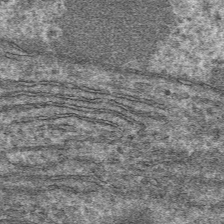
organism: Mouse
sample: Mouse hepatocytes